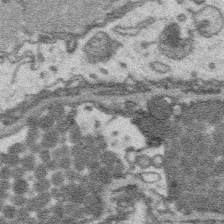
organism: Platynereis dumerilii